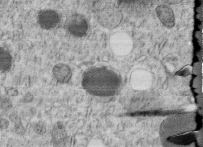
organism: C. elegans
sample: C. elegans embryo early stage